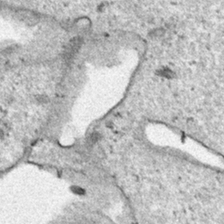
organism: Human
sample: Mitochondria in HCT116 cells